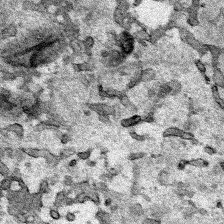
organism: Human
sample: Mitochondria in HCT116 cells